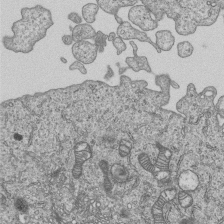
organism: Human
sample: MDA-MB-231 cells